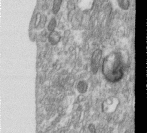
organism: Human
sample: Centriole in RPE cells